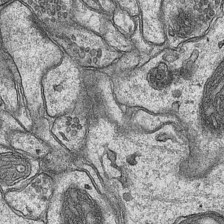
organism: Mouse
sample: CA1 Hippocampus